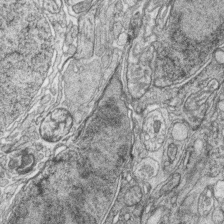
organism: Zebrafish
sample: synaptic ribbons in rod cells and cone cells